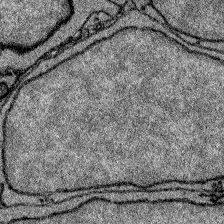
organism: Zebrafish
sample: Larval olfactory bulb